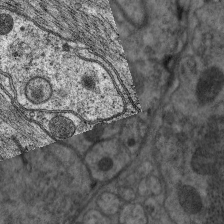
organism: C. elegans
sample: Pharynx